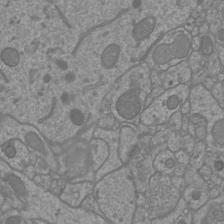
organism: Mouse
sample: Cortical neurons